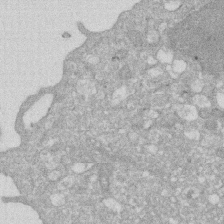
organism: Human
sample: HIV infected U937 cells